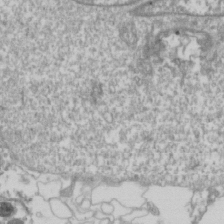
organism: Drosophila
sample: Cell division; meiosis; drosophila spermatocytes